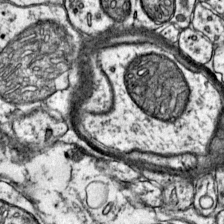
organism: Mouse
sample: Primary visual cortex